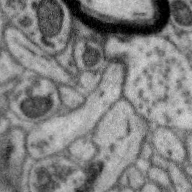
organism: Zebra finch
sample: Brain